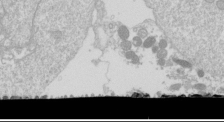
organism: Drosophila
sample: Cell division; meiosis; drosophila spermatocytes